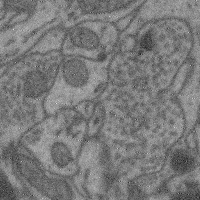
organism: Mouse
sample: Cerebral cortex